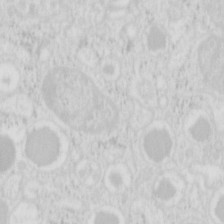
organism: Mouse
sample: Pancreas